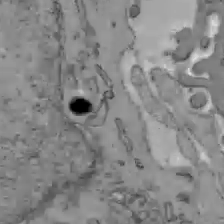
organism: C57BL Mouse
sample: Liver